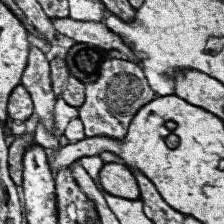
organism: Human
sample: Temporal Lobe